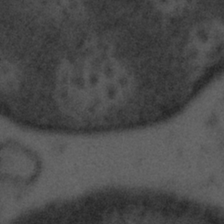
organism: Tuwongella immobilis